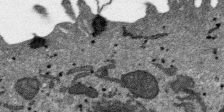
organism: Human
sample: Lung epithelial cells, uninfected (mock) control